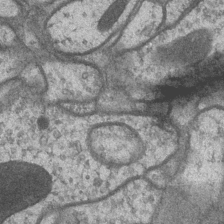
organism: Drosophila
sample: Optic medulla